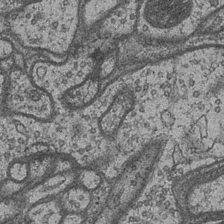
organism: Drosophila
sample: Optic medulla